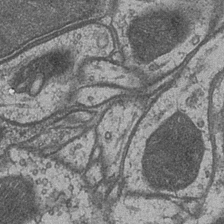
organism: Drosophila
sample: Optic medulla